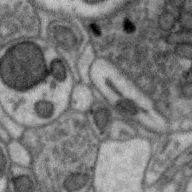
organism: Zebra finch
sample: Brain